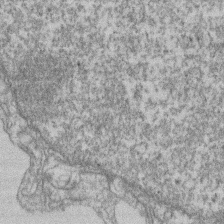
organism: Mouse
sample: T cell stromal cell synapse